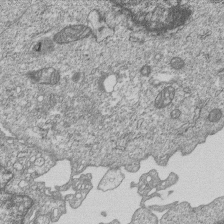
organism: Human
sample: MDA-MB-231 cells